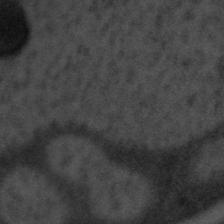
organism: Tuwongella immobilis